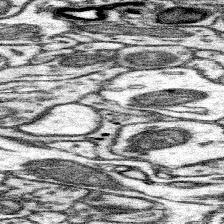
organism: Mouse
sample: Somatosensory cortex neuropil